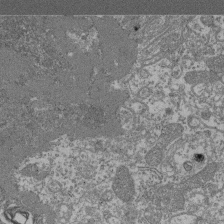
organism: Mouse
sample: Glomerulus